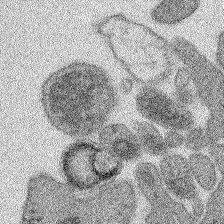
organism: Human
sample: HeLa cells